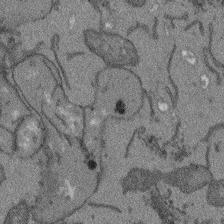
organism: Arabidopsis thaliana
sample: Root tip